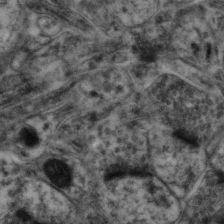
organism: Mouse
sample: Neocortex